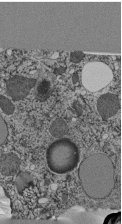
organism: C. elegans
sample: C. elegans pharynx